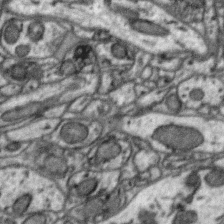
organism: Zebra finch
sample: Brain